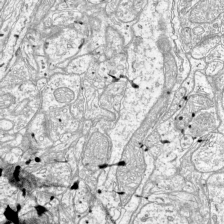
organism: Mouse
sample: Visual Cortex